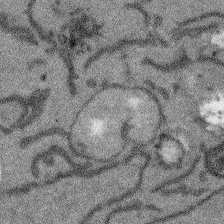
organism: Arabidopsis thaliana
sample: Root tip